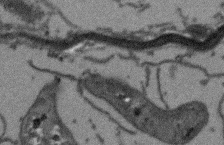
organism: Arabidopsis thaliana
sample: Root tip